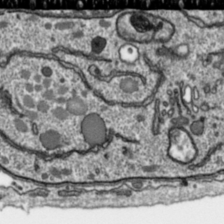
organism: Toxoplasma gondii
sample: Parasites in a vacuole inside a host cell